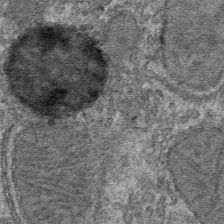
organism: Mouse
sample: Mouse hepatocytes